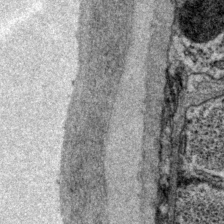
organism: P. pacificus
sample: Pharynx